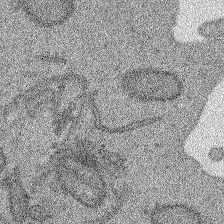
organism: Human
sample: HeLa cells